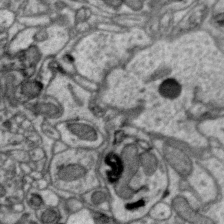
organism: Zebra finch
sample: Brain